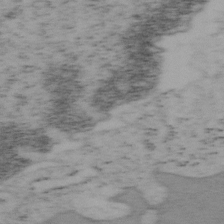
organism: Mouse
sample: OT-I killer T cells with ID8 ovarian cancer cells